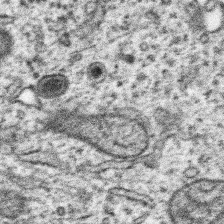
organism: Human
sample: HeLa cells